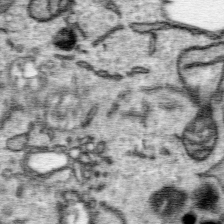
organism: Human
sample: HeLa cells